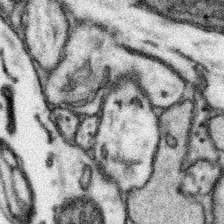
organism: Mouse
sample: Somatosensory cortex neuropil